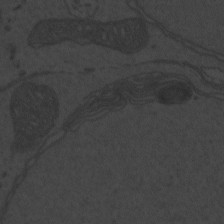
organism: Zebrafish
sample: Macrophage infected with Toxoplasma gondii